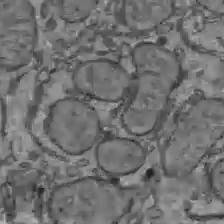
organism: C57BL Mouse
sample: Liver